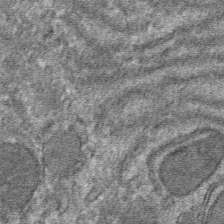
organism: Mouse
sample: Mouse hepatocytes